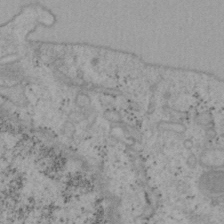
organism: Human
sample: HeLa cells